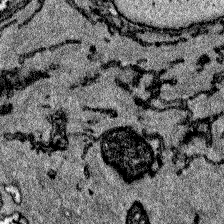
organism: Zebrafish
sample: Larval olfactory bulb